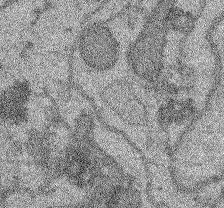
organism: Human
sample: HeLa cells